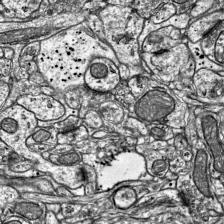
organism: Mouse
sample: Visual Cortex